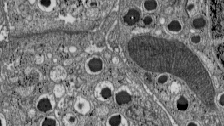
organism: C57BL Mouse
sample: Pancreatic islet